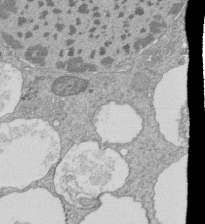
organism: Tetrahymena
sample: Cilia in tetrahymena